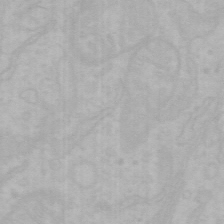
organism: Mouse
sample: Choroid plexus